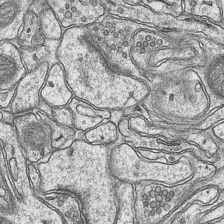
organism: Mouse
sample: CA1 Hippocampus